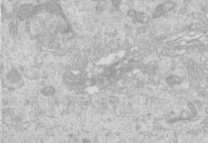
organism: Human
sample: Centriole in RPE cells